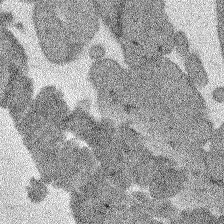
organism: Human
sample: HeLa cells